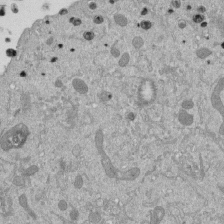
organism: Mouse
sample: ED-1 cell nuclei; centrioles